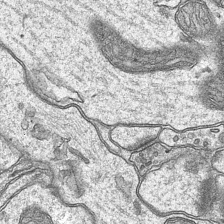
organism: Mouse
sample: CA1 Hippocampus